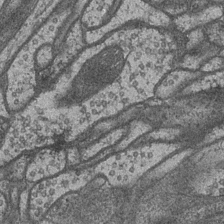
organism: Drosophila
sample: Optic medulla